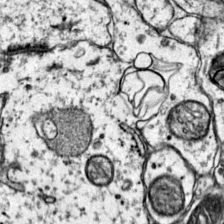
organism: Mouse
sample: Primary visual cortex